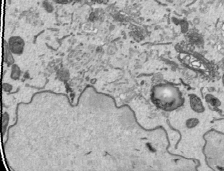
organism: Human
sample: Mitochondria in HCT116 cells